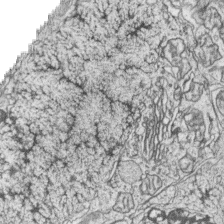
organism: Zebrafish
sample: synaptic ribbons in rod cells and cone cells